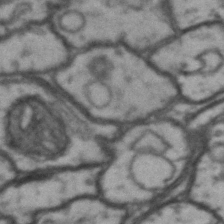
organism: Drosophila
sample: Brain